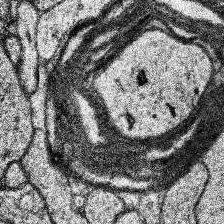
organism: Human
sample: Temporal Lobe